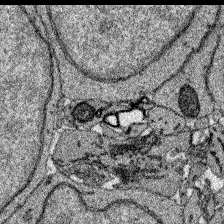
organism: Zebrafish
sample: Larval olfactory bulb